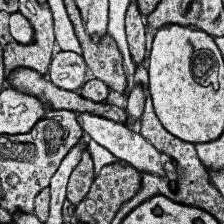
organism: Human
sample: Temporal Lobe